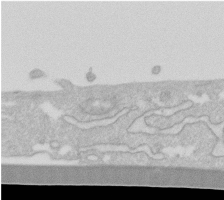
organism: Human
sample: Fibroblast cells